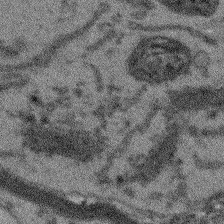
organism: Arabidopsis thaliana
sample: Root tip